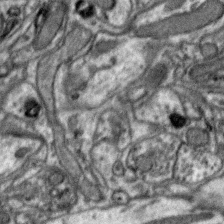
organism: Zebra finch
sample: Brain